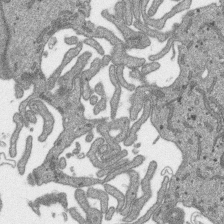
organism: Human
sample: Lung epithelial cells infected with SARS-CoV-2